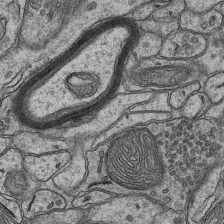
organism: Mouse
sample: CA1 Hippocampus